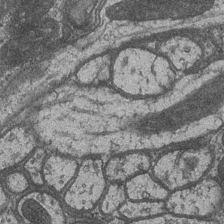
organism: Drosophila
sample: Optic medulla